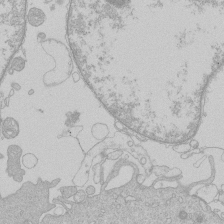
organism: Human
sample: Macrophage cells